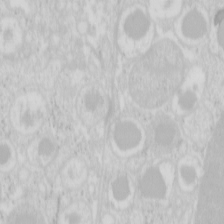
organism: Mouse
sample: Pancreas